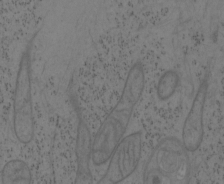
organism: Mouse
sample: OT-I killer T cells with ID8 ovarian cancer cells